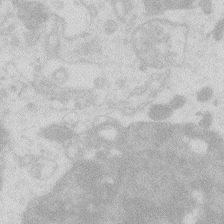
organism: Zebrafish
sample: Macrophage